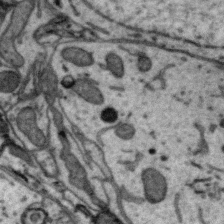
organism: Zebra finch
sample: Brain